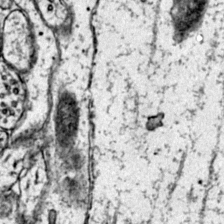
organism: Mouse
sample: Primary visual cortex